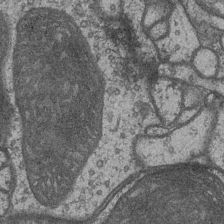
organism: Drosophila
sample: Optic medulla